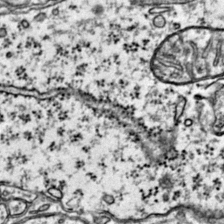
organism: Mouse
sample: Primary visual cortex